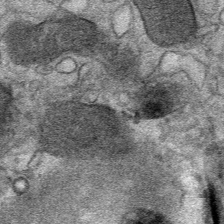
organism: Mouse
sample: Mouse Salivary gland